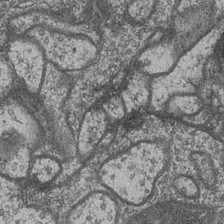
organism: Drosophila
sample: Optic medulla